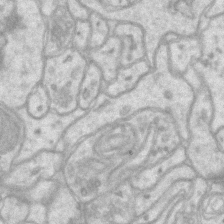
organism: Mouse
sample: CA1 Hippocampus